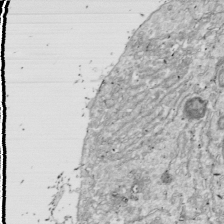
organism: Drosophila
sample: Cell division; meiosis; drosophila spermatocytes